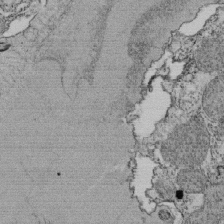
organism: Tetrahymena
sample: Cilia in tetrahymena